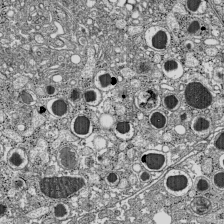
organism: C57BL Mouse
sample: Pancreatic islet